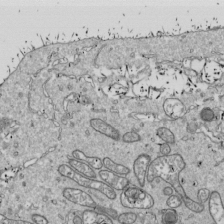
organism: Drosophila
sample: Cell division; meiosis; drosophila spermatocytes